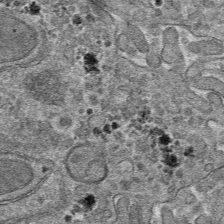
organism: Mouse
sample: Mouse hepatocytes